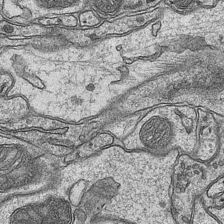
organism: Mouse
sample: CA1 Hippocampus